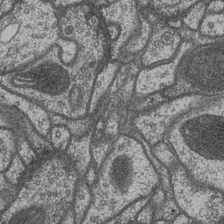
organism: Drosophila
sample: Optic medulla